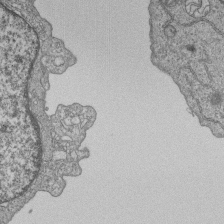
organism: Human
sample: MDA-MB-231 cells